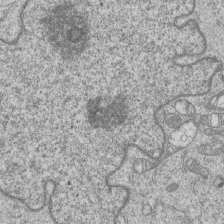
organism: Human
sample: MDA-MB-231 cells